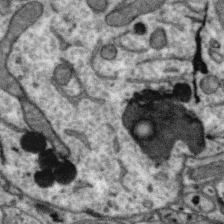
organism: Zebra finch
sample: Brain